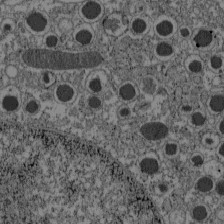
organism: C57BL Mouse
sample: Pancreatic islet